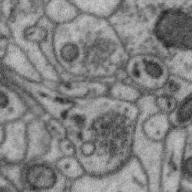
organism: Zebra finch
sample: Brain